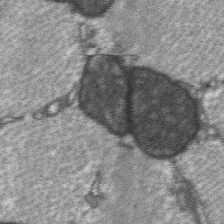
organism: C57BL Mouse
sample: Soleus